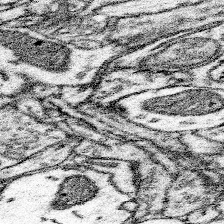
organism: Mouse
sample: Somatosensory cortex neuropil